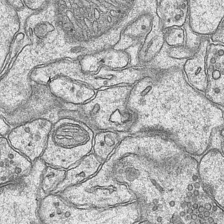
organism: Mouse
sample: CA1 Hippocampus